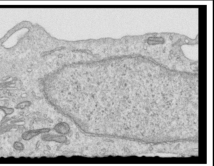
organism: Human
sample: Centriole in RPE cells